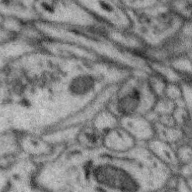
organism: Zebra finch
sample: Brain